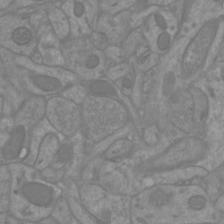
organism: Mouse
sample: Cortical neurons